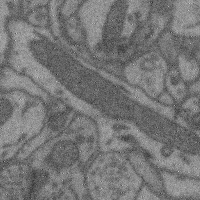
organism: Mouse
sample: Cerebral cortex